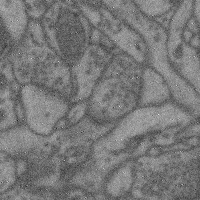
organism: Mouse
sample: Cerebral cortex